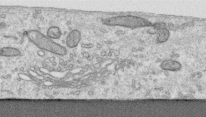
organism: Human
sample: Centriole in RPE cells